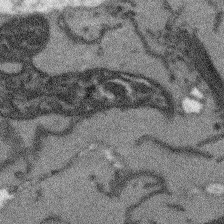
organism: Arabidopsis thaliana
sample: Root tip